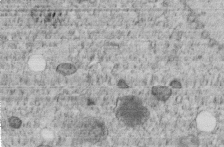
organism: C. elegans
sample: C. elegans embryo early stage